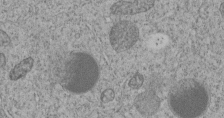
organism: C. elegans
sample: C. elegans embryo early stage